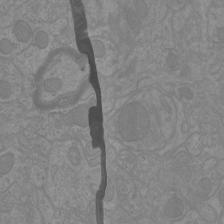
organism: Mouse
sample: Cortical neurons